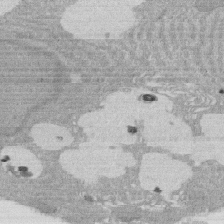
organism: Rat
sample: Salivary granule